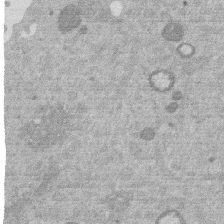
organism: Mouse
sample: Dividing mouse embryo 1 cell stage